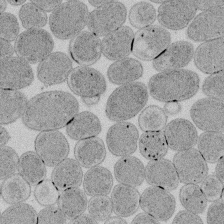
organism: E. coli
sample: Bacterial nucleoid